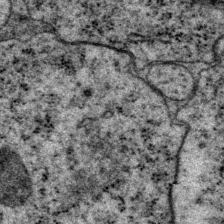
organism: P. pacificus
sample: Pharynx